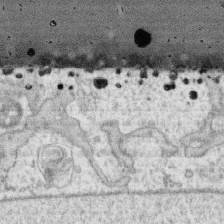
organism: Human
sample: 1205lu cells